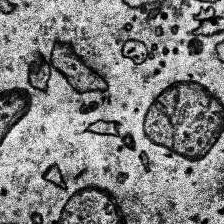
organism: Human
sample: Temporal Lobe